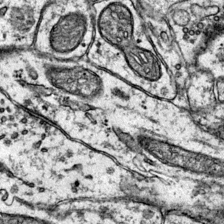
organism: Mouse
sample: Primary visual cortex